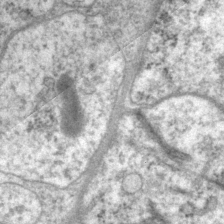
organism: P. pacificus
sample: Pharynx